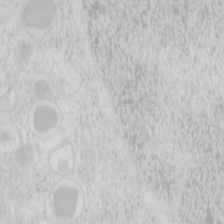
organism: Mouse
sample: Pancreas